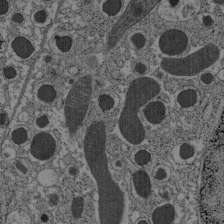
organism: C57BL Mouse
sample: Pancreatic islet